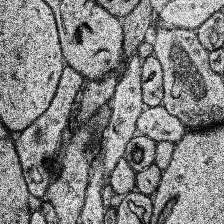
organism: Human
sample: Temporal Lobe